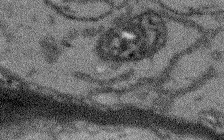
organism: Arabidopsis thaliana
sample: Root tip